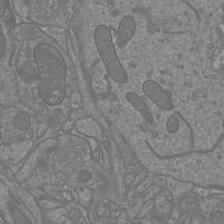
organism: Mouse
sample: Cortical neurons